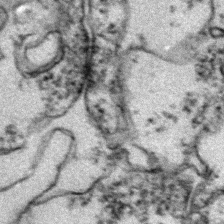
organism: Zebrafish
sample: Zebrafish embryo